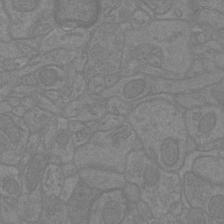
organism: Mouse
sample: Cortical neurons